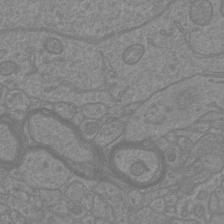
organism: Mouse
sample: Cortical neurons